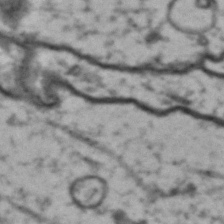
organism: Drosophila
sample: Brain